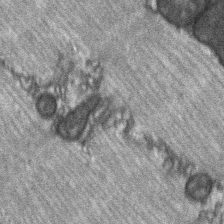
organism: C57BL Mouse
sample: Soleus